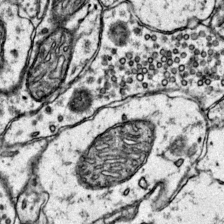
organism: Mouse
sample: Primary visual cortex